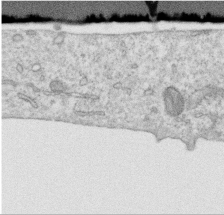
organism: Human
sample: Centriole in RPE cells